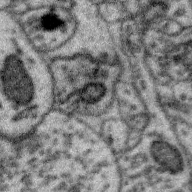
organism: Zebra finch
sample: Brain